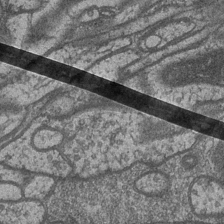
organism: Drosophila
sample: Optic medulla